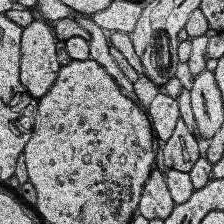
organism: Human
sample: Temporal Lobe